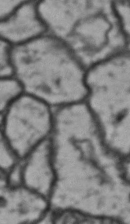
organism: Drosophila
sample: Brain